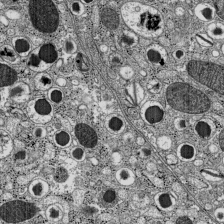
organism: C57BL Mouse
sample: Pancreatic islet